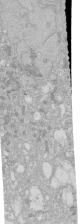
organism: Human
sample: Caco-2 cells